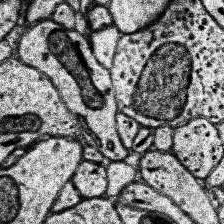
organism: Human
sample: Temporal Lobe